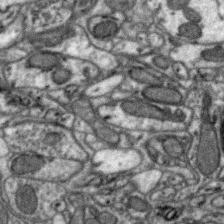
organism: Zebra finch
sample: Brain